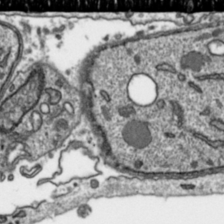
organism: Toxoplasma gondii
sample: Parasites in a vacuole inside a host cell